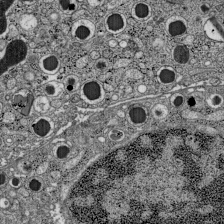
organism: C57BL Mouse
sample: Pancreatic islet